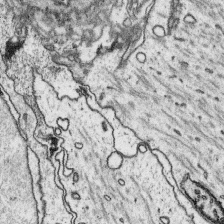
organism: Platynereis dumerilii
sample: Parapodia